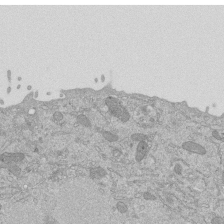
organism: Mouse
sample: ED-1 cell nuclei; centrioles